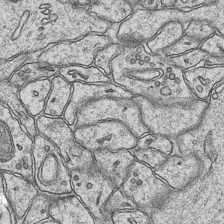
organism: Mouse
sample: CA1 Hippocampus